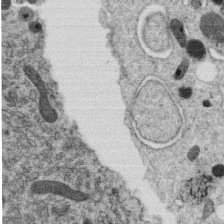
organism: C. elegans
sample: C. elegans oocyte; sperm cells